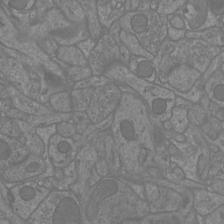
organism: Mouse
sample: Cortical neurons